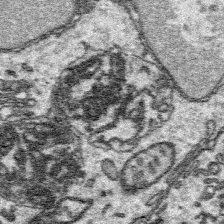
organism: Platynereis dumerilii